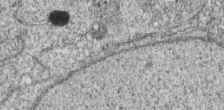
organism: Human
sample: HeLa cell HIV synapse